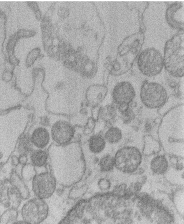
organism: Human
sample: Macrophage cells